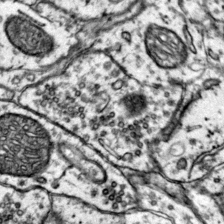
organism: Mouse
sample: Primary visual cortex